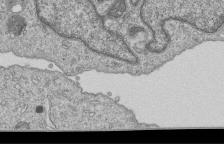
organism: Human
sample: MDA-MB-231 cells